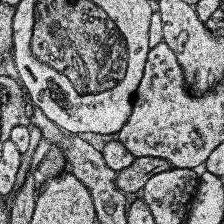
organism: Human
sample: Temporal Lobe